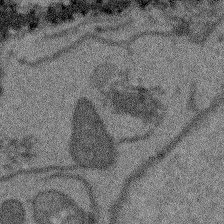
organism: Arabidopsis thaliana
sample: Root tip